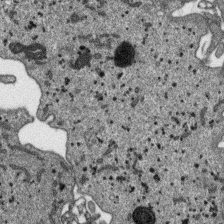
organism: Human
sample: Lung epithelial cells infected with SARS-CoV-2